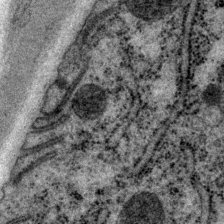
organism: P. pacificus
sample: Pharynx